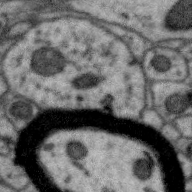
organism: Zebra finch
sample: Brain